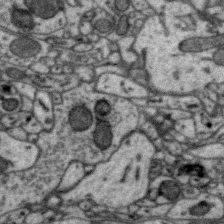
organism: Zebra finch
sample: Brain